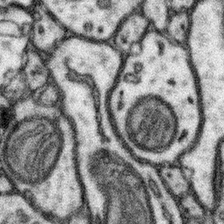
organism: Mouse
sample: Somatosensory cortex neuropil